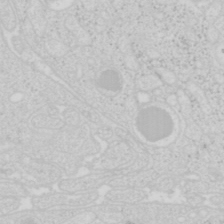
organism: Mouse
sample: Pancreas